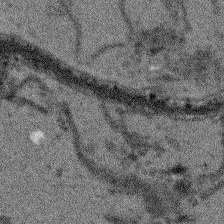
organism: Arabidopsis thaliana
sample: Root tip